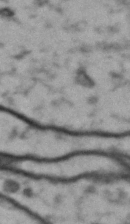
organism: Drosophila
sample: Brain